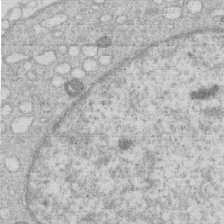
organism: Human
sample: Macrophage cells